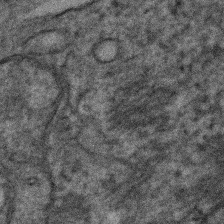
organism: Human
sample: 1205lu cells